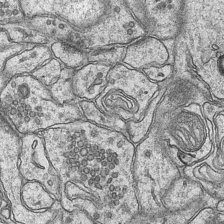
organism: Mouse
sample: CA1 Hippocampus